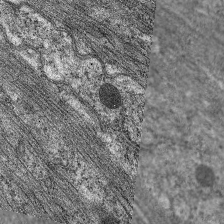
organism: C. elegans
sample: Pharynx